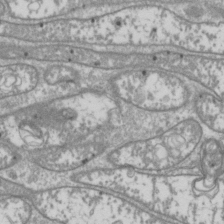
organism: Drosophila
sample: Cell division; meiosis; drosophila spermatocytes